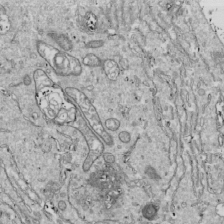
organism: Drosophila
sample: Cell division; meiosis; drosophila spermatocytes